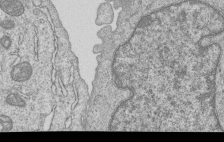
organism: Human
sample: MDA-MB-231 cells